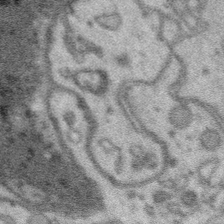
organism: Platynereis dumerilii